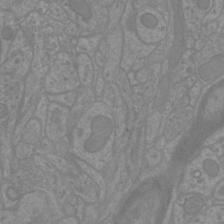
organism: Mouse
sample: Cortical neurons